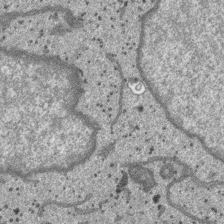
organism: Human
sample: Lung epithelial cells infected with SARS-CoV-2